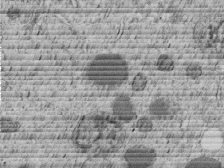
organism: C. elegans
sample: C. elegans embryo early stage